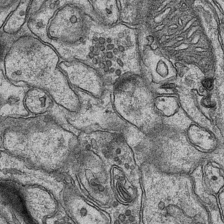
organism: Mouse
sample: CA1 Hippocampus